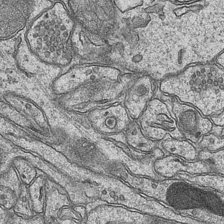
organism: Mouse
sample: CA1 Hippocampus